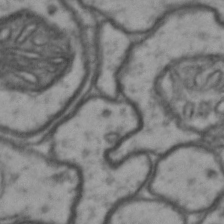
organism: Drosophila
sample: Brain